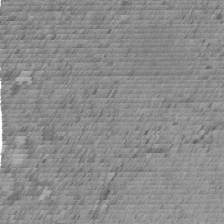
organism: C. elegans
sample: C. elegans embryo early stage